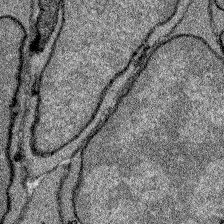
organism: Zebrafish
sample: Larval olfactory bulb